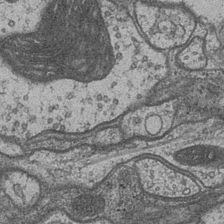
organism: Drosophila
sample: Optic medulla